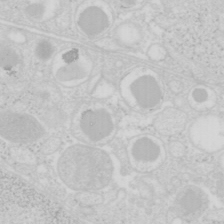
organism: Mouse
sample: Pancreas